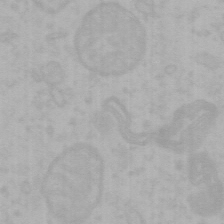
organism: Mouse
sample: Choroid plexus